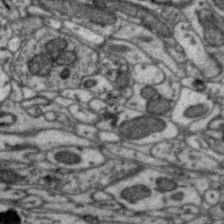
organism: Zebra finch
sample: Brain